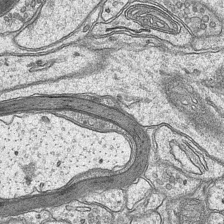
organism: Mouse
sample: CA1 Hippocampus